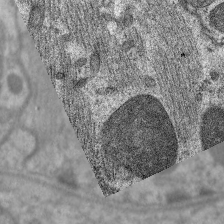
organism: C. elegans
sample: Pharynx